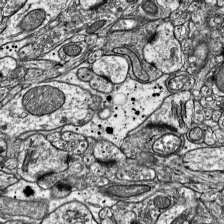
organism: Mouse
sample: Visual Cortex